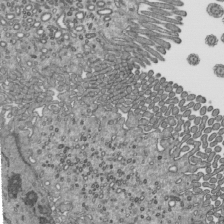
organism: Mouse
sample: Mouse epididymis efferent ductule cilia